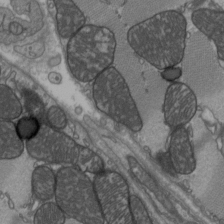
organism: C57BL Mouse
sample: Heart